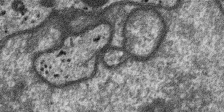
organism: Human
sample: Lung epithelial cells infected with SARS-CoV-2